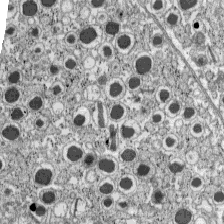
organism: C57BL Mouse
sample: Pancreatic islet